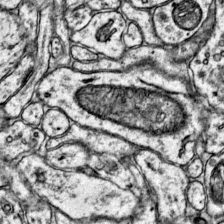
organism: Mouse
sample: Primary visual cortex